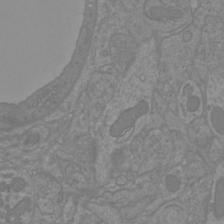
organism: Mouse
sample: Cortical neurons